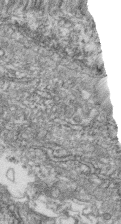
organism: Zebrafish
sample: Cilia; retinal pigment epithelium